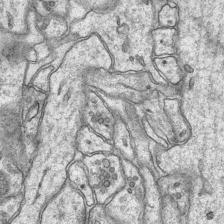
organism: Mouse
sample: CA1 Hippocampus